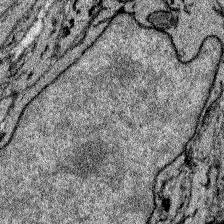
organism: Zebrafish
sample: Larval olfactory bulb